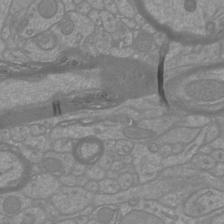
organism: Mouse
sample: Cortical neurons